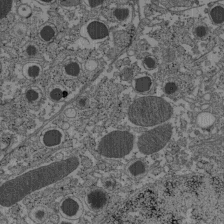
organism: C57BL Mouse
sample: Pancreatic islet